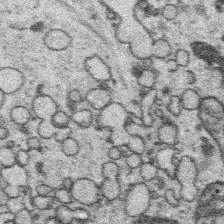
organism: Platynereis dumerilii